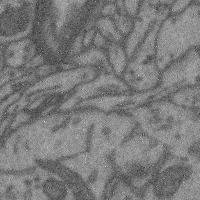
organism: Mouse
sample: Cerebral cortex